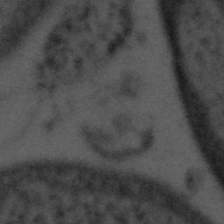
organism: Tuwongella immobilis